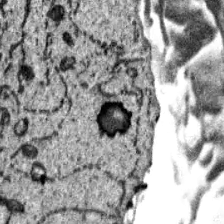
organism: Human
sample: HeLa cells